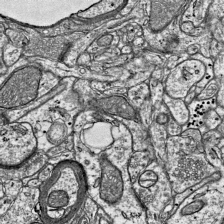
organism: Mouse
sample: Visual Cortex